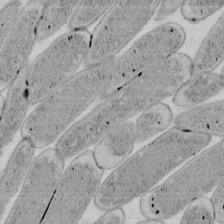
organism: E. coli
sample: Bacterial nucleoid